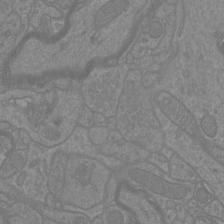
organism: Mouse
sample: Cortical neurons